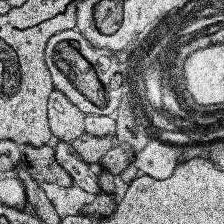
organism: Human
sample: Temporal Lobe